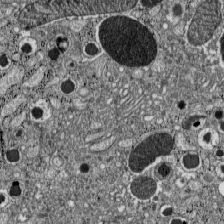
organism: C57BL Mouse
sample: Pancreatic islet